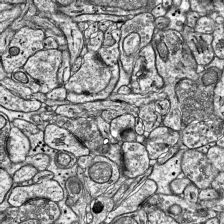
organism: Mouse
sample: Visual Cortex